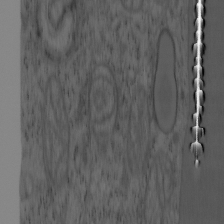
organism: Human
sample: HeLa cells